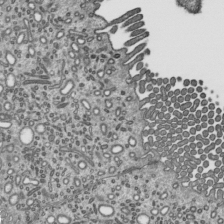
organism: Mouse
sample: Mouse epididymis efferent ductule cilia